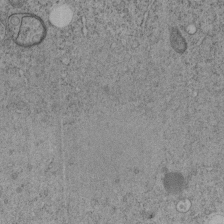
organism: C. elegans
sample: C. elegans embryo early stage